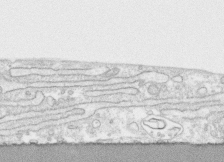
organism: Human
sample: CRL-1474